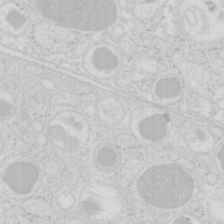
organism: Mouse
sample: Pancreas